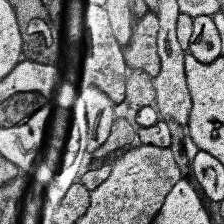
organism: Human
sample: Temporal Lobe